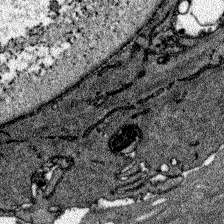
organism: Zebrafish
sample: Larval olfactory bulb